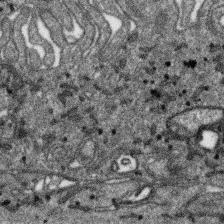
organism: Human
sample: Lung epithelial cells infected with SARS-CoV-2